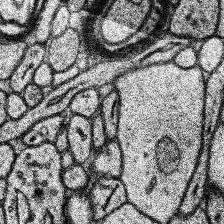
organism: Human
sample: Temporal Lobe